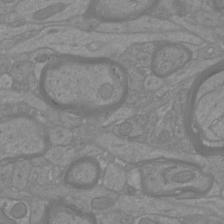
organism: Mouse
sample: Cortical neurons